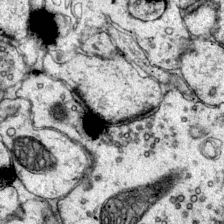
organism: Mouse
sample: Primary visual cortex